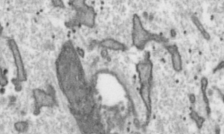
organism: Toxoplasma gondii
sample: Parasites in a vacuole inside a host cell